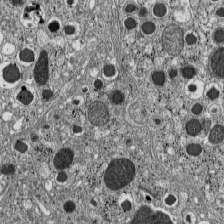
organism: C57BL Mouse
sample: Pancreatic islet